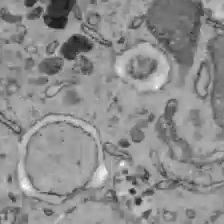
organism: C57BL Mouse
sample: Liver